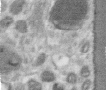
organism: Human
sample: Centriole in RPE cells